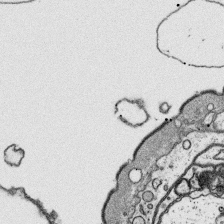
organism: Platynereis dumerilii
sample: Parapodia